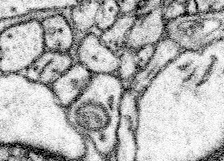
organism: Mouse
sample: Somatosensory cortex neuropil